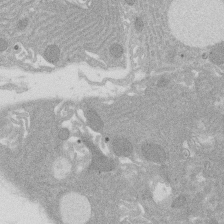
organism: Rat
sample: Salivary granule